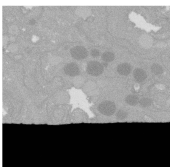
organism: C. elegans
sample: C. elegans oocyte; sperm cells